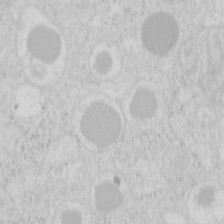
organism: Mouse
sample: Pancreas